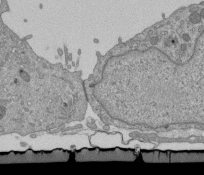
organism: Mouse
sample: ED-1 cell nuclei; centrioles